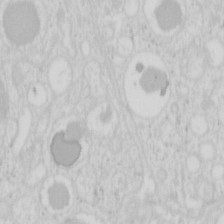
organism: Mouse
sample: Pancreas